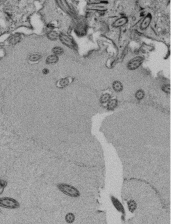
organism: Tetrahymena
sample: Cilia in tetrahymena